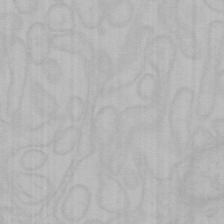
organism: Mouse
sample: Choroid plexus